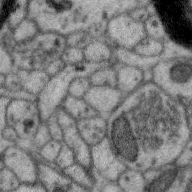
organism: Zebra finch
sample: Brain